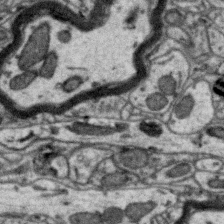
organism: Zebra finch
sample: Brain